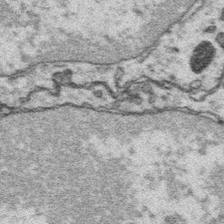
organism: Platynereis dumerilii